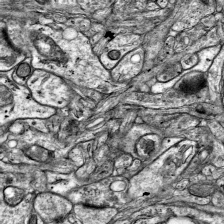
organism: Mouse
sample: Visual Cortex